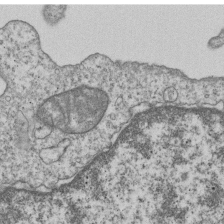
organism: Human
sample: MDA-MB-231 cells